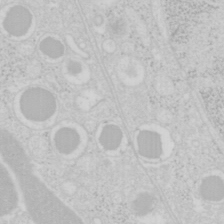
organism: Mouse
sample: Pancreas